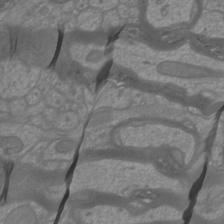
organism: Mouse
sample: Cortical neurons